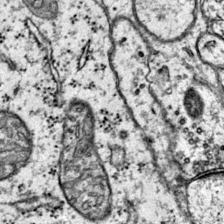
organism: Mouse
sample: Primary visual cortex